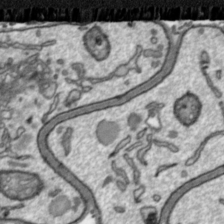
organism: Toxoplasma gondii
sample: Parasites in a vacuole inside a host cell